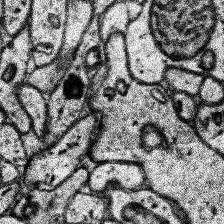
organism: Human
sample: Temporal Lobe